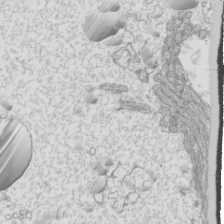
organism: Mouse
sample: Cilia; mouse epididymis